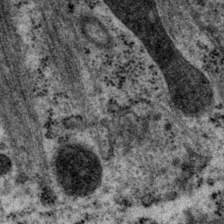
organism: P. pacificus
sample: Pharynx